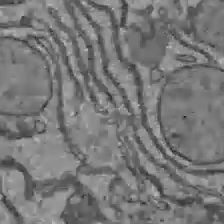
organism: C57BL Mouse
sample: Liver